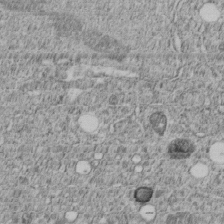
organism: C. elegans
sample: C. elegans embryo early stage